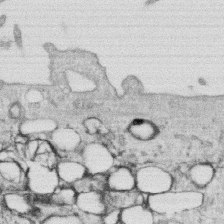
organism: Human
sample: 1205lu cells